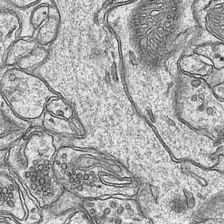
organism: Mouse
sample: CA1 Hippocampus